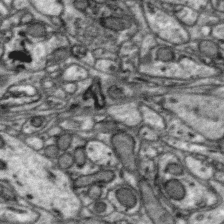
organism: Zebra finch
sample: Brain